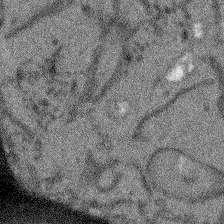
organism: Arabidopsis thaliana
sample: Root tip